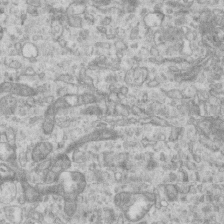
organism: Mouse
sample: Centriole in ependymal cells